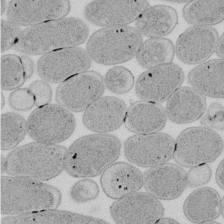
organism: E. coli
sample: Bacterial nucleoid